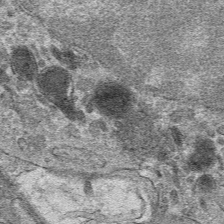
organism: Mouse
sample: Mouse hepatocytes